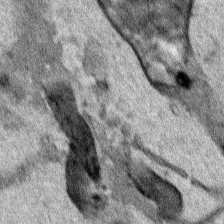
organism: Human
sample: Mitochondria in HCT116 cells